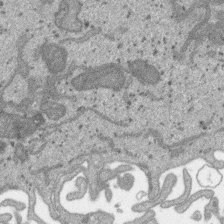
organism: Human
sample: Lung epithelial cells infected with SARS-CoV-2